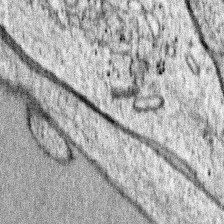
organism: Human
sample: HeLa cells